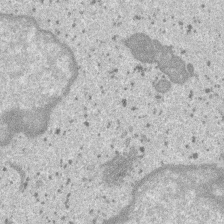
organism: Human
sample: Lung epithelial cells infected with SARS-CoV-2